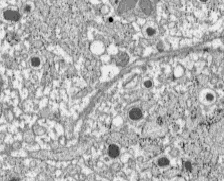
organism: C57BL Mouse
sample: Pancreatic islet